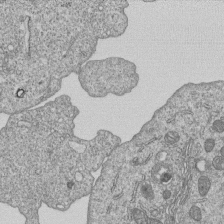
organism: Human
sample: MDA-MB-231 cells